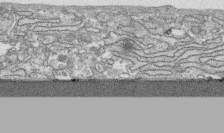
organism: Human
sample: CRL-1474